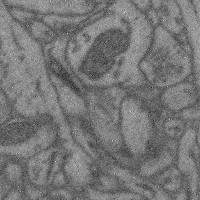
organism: Mouse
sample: Cerebral cortex